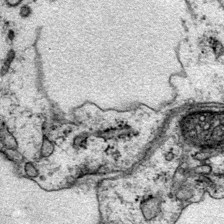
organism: Mouse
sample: Primary visual cortex